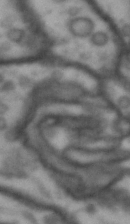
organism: Drosophila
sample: Brain